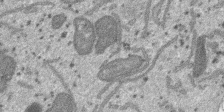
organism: Human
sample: Lung epithelial cells infected with SARS-CoV-2